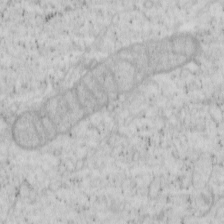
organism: Human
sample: HeLa cells